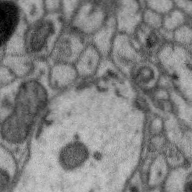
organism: Zebra finch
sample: Brain